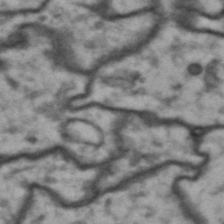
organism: Drosophila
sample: Brain